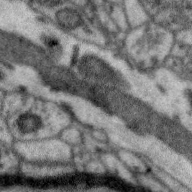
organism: Zebra finch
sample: Brain